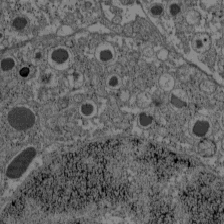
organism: C57BL Mouse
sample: Pancreatic islet